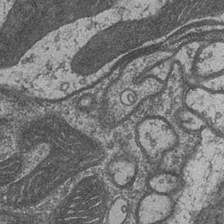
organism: Drosophila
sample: Optic medulla